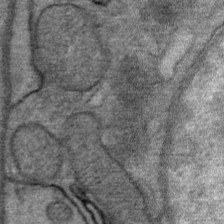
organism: Mouse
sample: Mouse Salivary gland